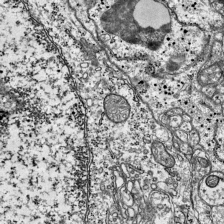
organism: Mouse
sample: Visual Cortex